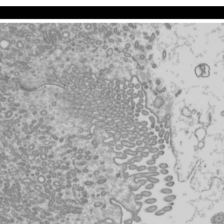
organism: Mouse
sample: Cilia; mouse epididymis